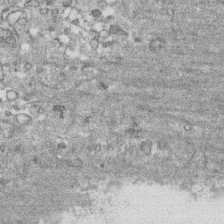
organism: Human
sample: CRL-1474